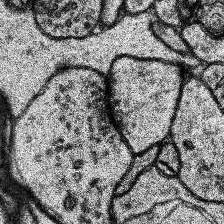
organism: Human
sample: Temporal Lobe